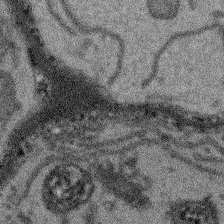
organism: Arabidopsis thaliana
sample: Root tip